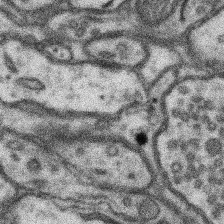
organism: Mouse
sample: Somatosensory cortex neuropil